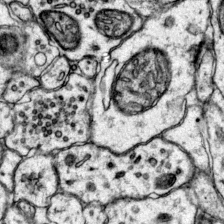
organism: Mouse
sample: Primary visual cortex